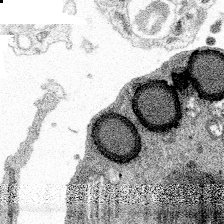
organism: Spongilla lacustris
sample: Multiple